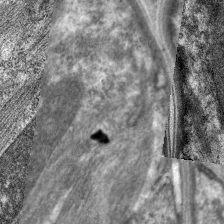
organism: C. elegans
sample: Pharynx